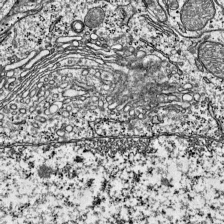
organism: Mouse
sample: Visual Cortex